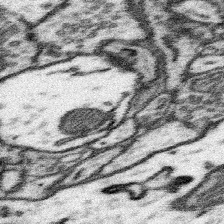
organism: Mouse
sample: Somatosensory cortex neuropil